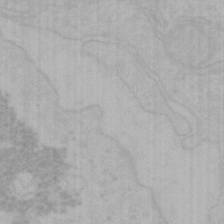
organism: Mouse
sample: Choroid plexus